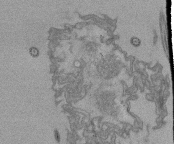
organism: Tetrahymena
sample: Cilia in tetrahymena